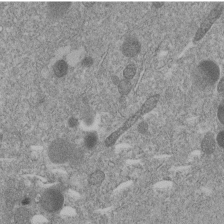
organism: C. elegans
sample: C. elegans embryo early stage